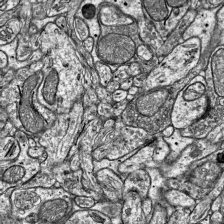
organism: Mouse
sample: Visual Cortex